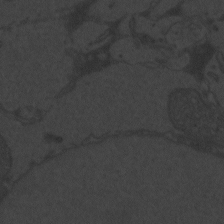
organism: Zebrafish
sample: Macrophage infected with Toxoplasma gondii